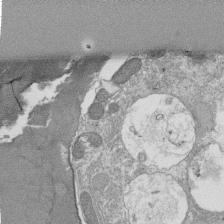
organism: Tetrahymena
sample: Cilia in tetrahymena